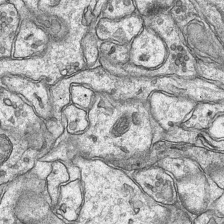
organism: Mouse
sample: CA1 Hippocampus